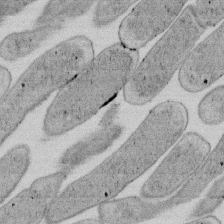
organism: E. coli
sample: Bacterial nucleoid